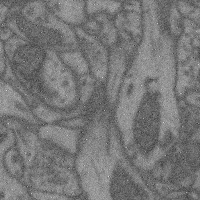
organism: Mouse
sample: Cerebral cortex